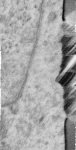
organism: Human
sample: Centriole in RPE cells